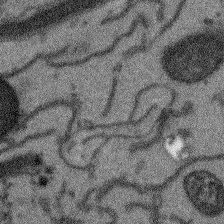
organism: Arabidopsis thaliana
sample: Root tip